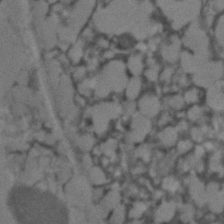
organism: C. elegans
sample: C. elegans embryo